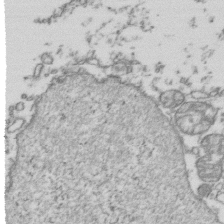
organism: Human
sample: Activated Jurkat CD4+ T cells